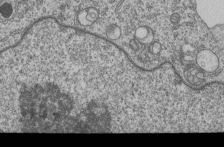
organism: Human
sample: MDA-MB-231 cells